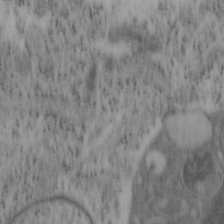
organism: Mouse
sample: OT-I killer T cells with ID8 ovarian cancer cells